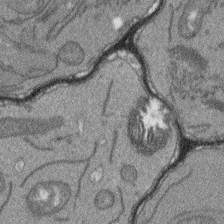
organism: Arabidopsis thaliana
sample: Root tip